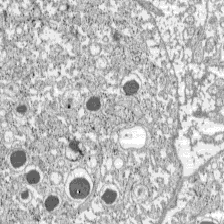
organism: C57BL Mouse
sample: Pancreatic islet